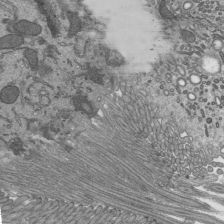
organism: Mouse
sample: Mouse epididymis efferent ductule cilia